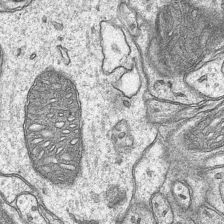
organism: Mouse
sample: CA1 Hippocampus